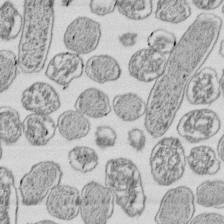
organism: E. coli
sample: Bacterial nucleoid